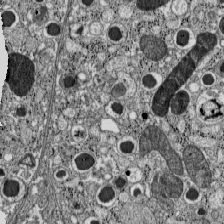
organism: C57BL Mouse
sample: Pancreatic islet